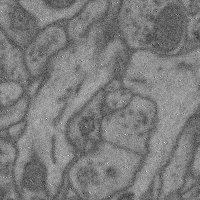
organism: Mouse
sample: Cerebral cortex